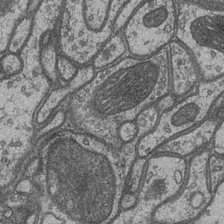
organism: Drosophila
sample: Optic medulla